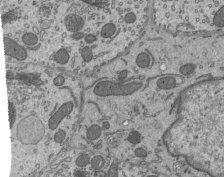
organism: Mouse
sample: Mouse epididymis efferent ductule cilia